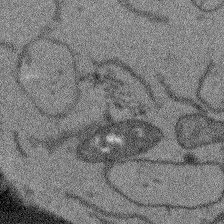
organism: Arabidopsis thaliana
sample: Root tip